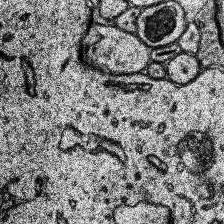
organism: Human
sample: Temporal Lobe